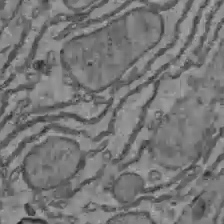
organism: C57BL Mouse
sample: Liver